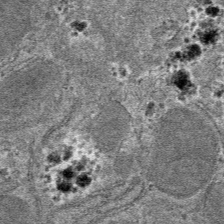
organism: Mouse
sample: Mouse hepatocytes